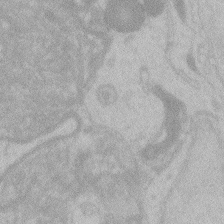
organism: Zebrafish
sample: Macrophage infected with Toxoplasma gondii